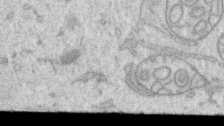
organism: Human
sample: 1205lu cells